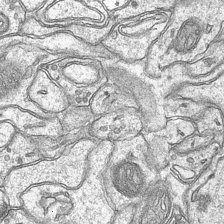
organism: Mouse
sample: CA1 Hippocampus